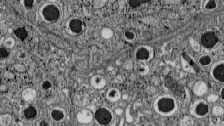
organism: C57BL Mouse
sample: Pancreatic islet